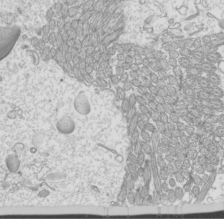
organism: Mouse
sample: Cilia; mouse epididymis